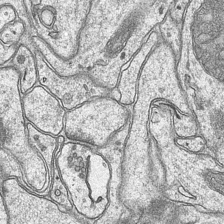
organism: Mouse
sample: CA1 Hippocampus